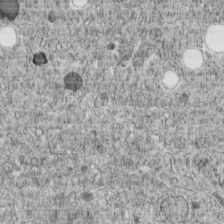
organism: C. elegans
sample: C. elegans embryo early stage